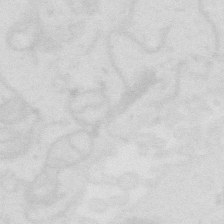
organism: Human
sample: HeLa cells